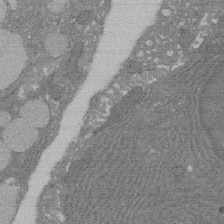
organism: Rat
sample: Salivary granule